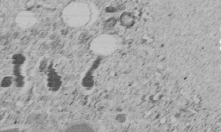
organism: C. elegans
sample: C. elegans embryo early stage